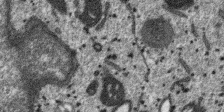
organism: Human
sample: Lung epithelial cells infected with SARS-CoV-2